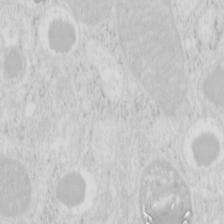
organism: Mouse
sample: Pancreas